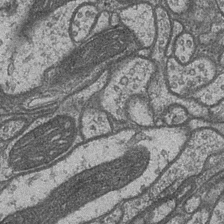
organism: Drosophila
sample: Optic medulla